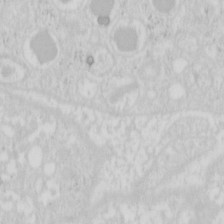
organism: Mouse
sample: Pancreas